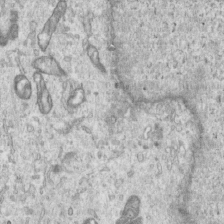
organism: Human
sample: Centriole in RPE cells